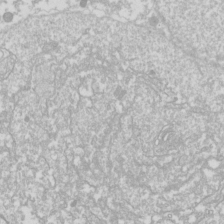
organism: Drosophila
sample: Cell division; meiosis; drosophila spermatocytes